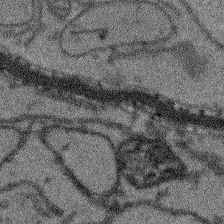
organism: Arabidopsis thaliana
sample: Root tip